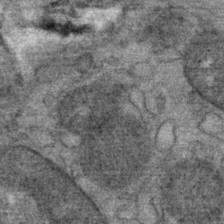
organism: Mouse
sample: Mouse Salivary gland